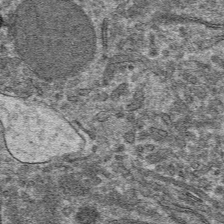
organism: Mouse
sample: Mouse hepatocytes